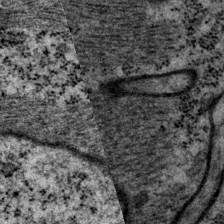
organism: P. pacificus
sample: Pharynx